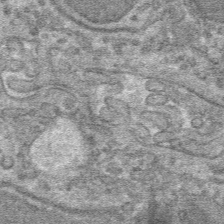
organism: Mouse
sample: Mouse hepatocytes